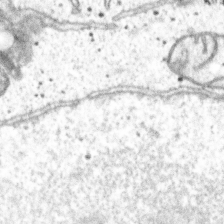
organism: Human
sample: HeLa cells